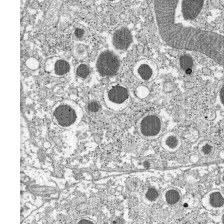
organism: C57BL Mouse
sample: Pancreatic islet